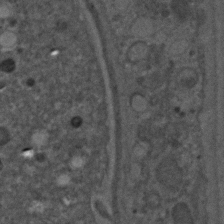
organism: C. elegans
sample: C. elegans embryo